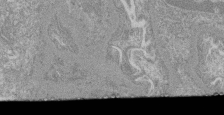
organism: Mouse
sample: Glomerulus